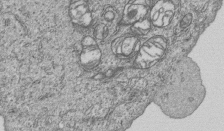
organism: Human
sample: MDA-MB-231 cells